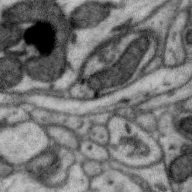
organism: Zebra finch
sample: Brain